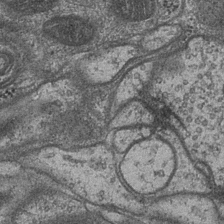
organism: Drosophila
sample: Optic medulla